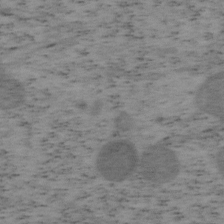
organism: Mouse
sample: OT-I killer T cells with ID8 ovarian cancer cells